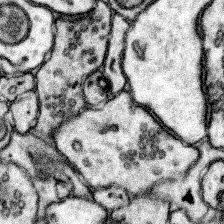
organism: Mouse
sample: Somatosensory cortex neuropil